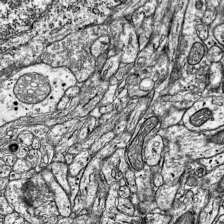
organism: Mouse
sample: Visual Cortex